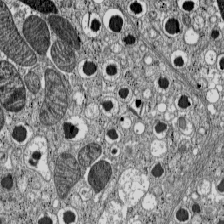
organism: C57BL Mouse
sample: Pancreatic islet